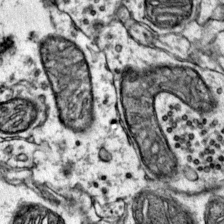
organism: Mouse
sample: Primary visual cortex